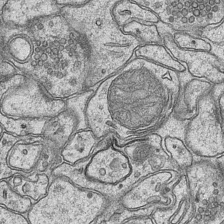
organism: Mouse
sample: CA1 Hippocampus